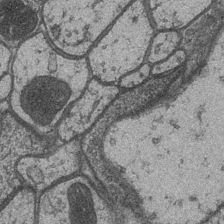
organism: Drosophila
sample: Optic medulla